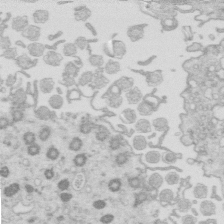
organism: Mouse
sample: Multiciliated cells